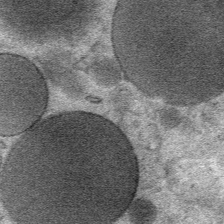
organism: Mouse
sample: Mouse Salivary gland